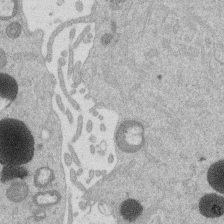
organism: Mouse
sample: Dividing mouse embryo 1 cell stage